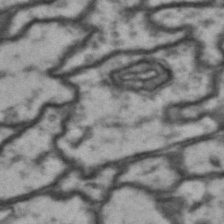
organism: Drosophila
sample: Brain